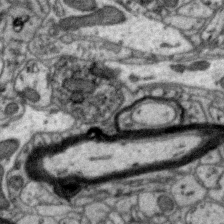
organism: Zebra finch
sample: Brain